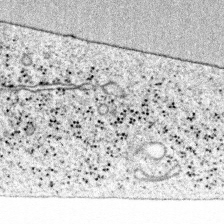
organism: Human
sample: HeLa cells